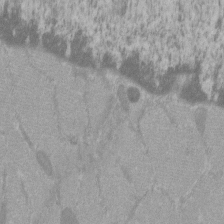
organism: C57BL Mouse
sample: Tibialis anterior muscle cell